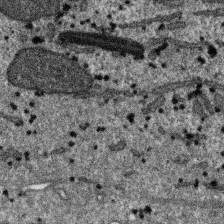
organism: Human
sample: Lung epithelial cells infected with SARS-CoV-2